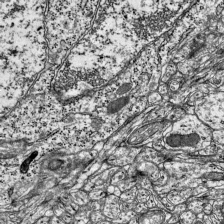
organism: Mouse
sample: Visual Cortex